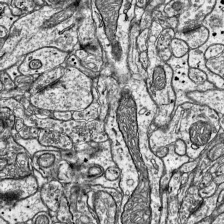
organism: Mouse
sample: Visual Cortex